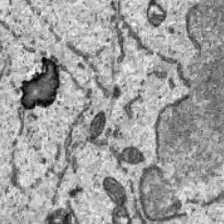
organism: Human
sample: HeLa cells